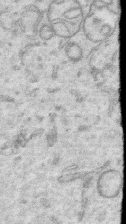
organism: Human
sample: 1205lu cells